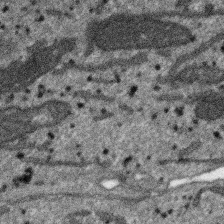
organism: Human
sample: Lung epithelial cells infected with SARS-CoV-2